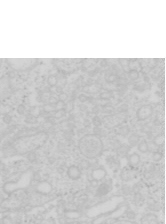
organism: Mouse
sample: Pancreas